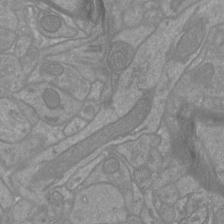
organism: Mouse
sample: Cortical neurons